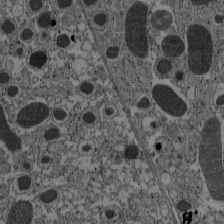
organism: C57BL Mouse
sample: Pancreatic islet